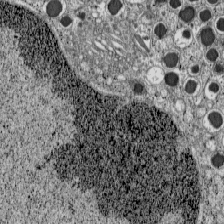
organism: C57BL Mouse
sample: Pancreatic islet